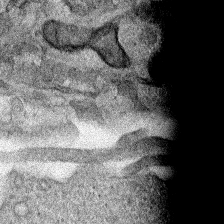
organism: Human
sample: Mitochondria in HCT116 cells